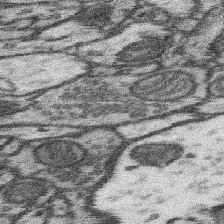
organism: Mouse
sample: Somatosensory cortex neuropil